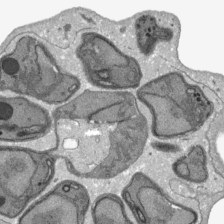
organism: Plasmodium falciparum